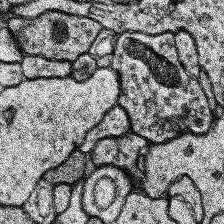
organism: Human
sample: Temporal Lobe